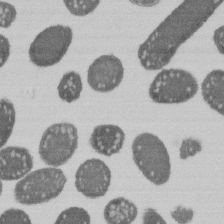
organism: E. coli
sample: Bacterial nucleoid